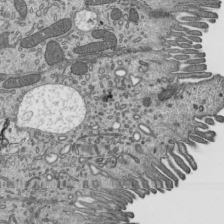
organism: Mouse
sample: Mouse epididymis efferent ductule cilia